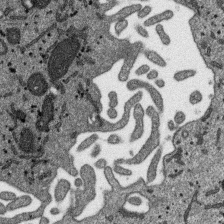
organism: Human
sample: Lung epithelial cells infected with SARS-CoV-2